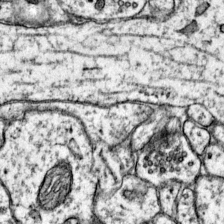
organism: Mouse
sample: Primary visual cortex